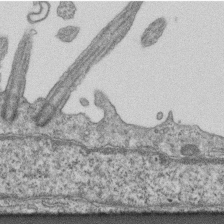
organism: Mouse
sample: Centriole in ependymal cells